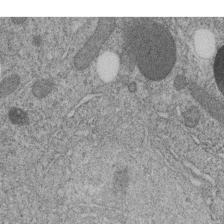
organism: C. elegans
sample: C. elegans embryo early stage